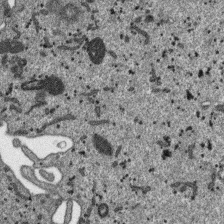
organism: Human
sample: Lung epithelial cells infected with SARS-CoV-2